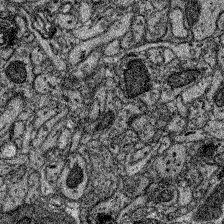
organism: Zebrafish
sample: Larval olfactory bulb